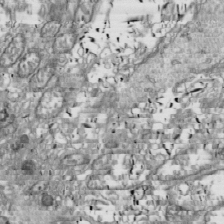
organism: Drosophila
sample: Cell division; meiosis; drosophila spermatocytes